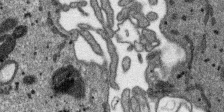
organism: Human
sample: Lung epithelial cells infected with SARS-CoV-2